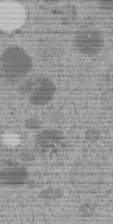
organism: C. elegans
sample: C. elegans embryo early stage